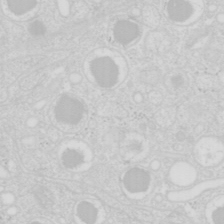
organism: Mouse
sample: Pancreas